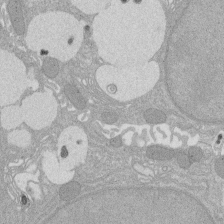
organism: Rat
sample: Salivary granule